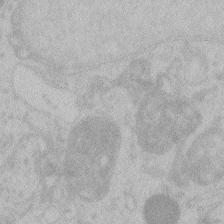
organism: Zebrafish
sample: Macrophage infected with Toxoplasma gondii